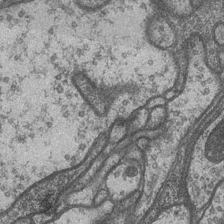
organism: Drosophila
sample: Optic medulla